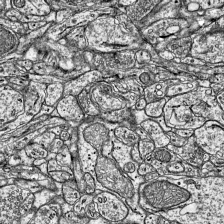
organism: Mouse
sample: Visual Cortex